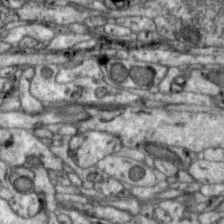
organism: Zebra finch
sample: Brain